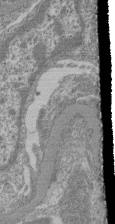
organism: Mouse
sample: Glomerulus